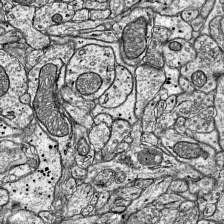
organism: Mouse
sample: Visual Cortex